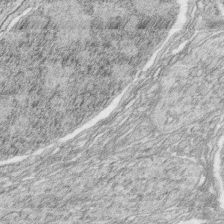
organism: Zebrafish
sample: synaptic ribbons in rod cells and cone cells